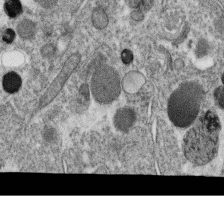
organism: C. elegans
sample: C. elegans oocyte; sperm cells